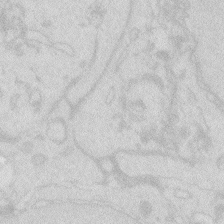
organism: Zebrafish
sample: Macrophage